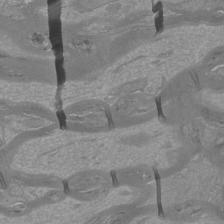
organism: Mouse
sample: Cortical neurons